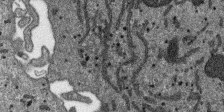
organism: Human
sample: Lung epithelial cells infected with SARS-CoV-2